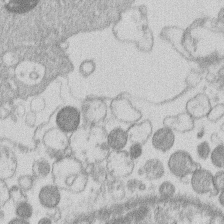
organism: Human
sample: Macrophage cells